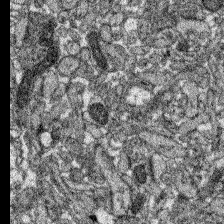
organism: Zebrafish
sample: Larval olfactory bulb